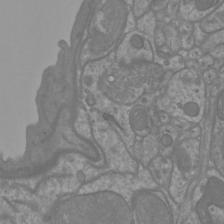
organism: Mouse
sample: Cortical neurons